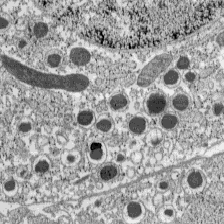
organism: C57BL Mouse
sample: Pancreatic islet